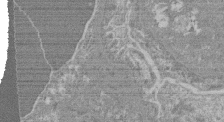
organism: Mouse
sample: Glomerulus